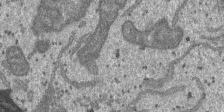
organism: Human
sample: Lung epithelial cells infected with SARS-CoV-2